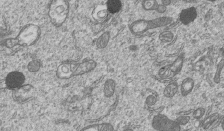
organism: Human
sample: MDA-MB-231 cells